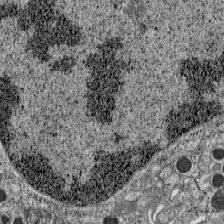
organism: C57BL Mouse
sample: Pancreatic islet